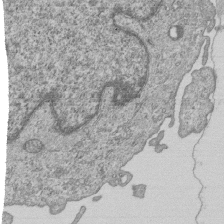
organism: Human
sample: MDA-MB-231 cells